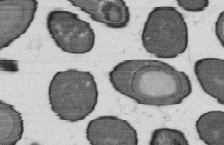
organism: B. subtilis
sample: Bacterial spore